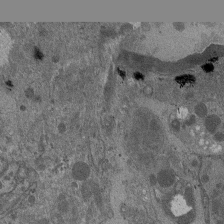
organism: Drosophila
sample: Antenna